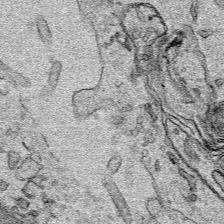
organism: Human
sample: Mitochondria in HCT116 cells